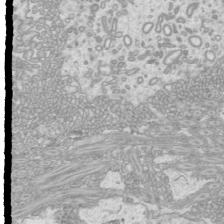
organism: Mouse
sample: Cilia; mouse epididymis